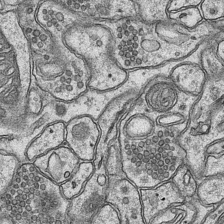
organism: Mouse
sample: CA1 Hippocampus